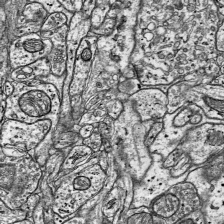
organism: Mouse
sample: Visual Cortex